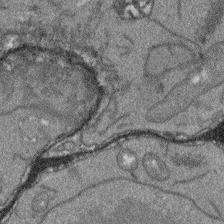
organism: Arabidopsis thaliana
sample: Root tip